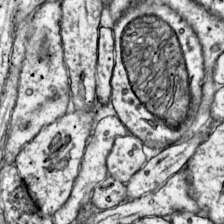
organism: Mouse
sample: Primary visual cortex